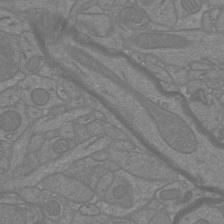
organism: Mouse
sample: Cortical neurons